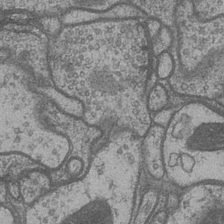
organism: Drosophila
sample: Optic medulla